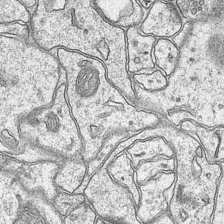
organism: Mouse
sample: CA1 Hippocampus